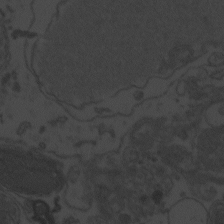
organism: Zebrafish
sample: Macrophage infected with Toxoplasma gondii